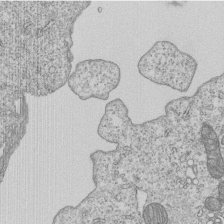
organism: Human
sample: MDA-MB-231 cells